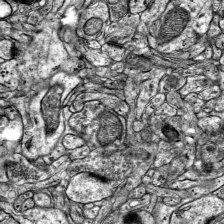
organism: Mouse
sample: Visual Cortex